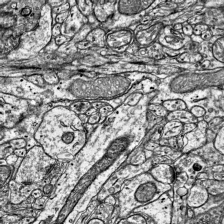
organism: Mouse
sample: Visual Cortex